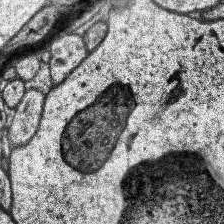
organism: Human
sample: Temporal Lobe